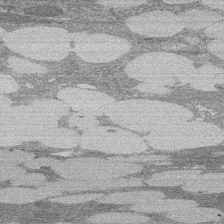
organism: Rat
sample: Salivary granule